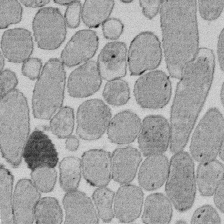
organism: E. coli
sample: Bacterial nucleoid